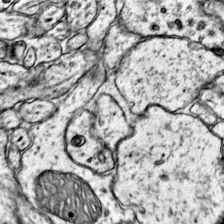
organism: Mouse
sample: Primary visual cortex